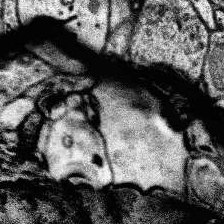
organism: Human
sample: Temporal Lobe